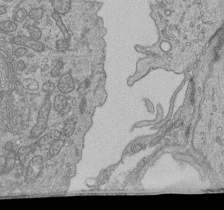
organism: Human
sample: Retinal organoid Rod and Cone cells